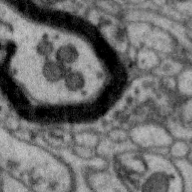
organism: Zebra finch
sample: Brain